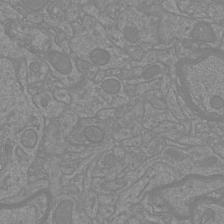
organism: Mouse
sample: Cortical neurons